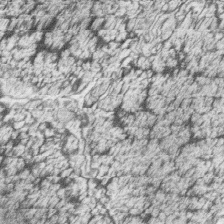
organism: Zebrafish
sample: synaptic ribbons in rod cells and cone cells